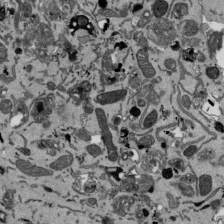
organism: Mouse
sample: ED-1 cell nuclei; centrioles